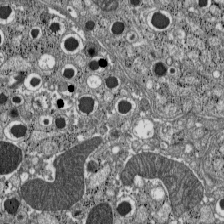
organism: C57BL Mouse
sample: Pancreatic islet